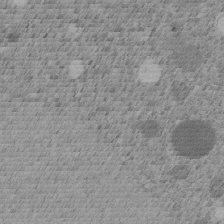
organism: C. elegans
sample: C. elegans embryo early stage